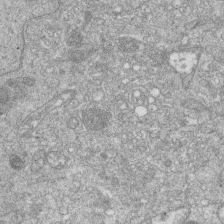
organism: Human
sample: HeLa cell HIV synapse